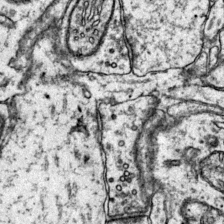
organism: Mouse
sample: Primary visual cortex